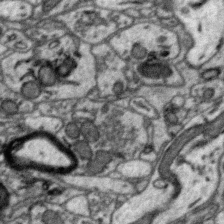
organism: Zebra finch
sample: Brain